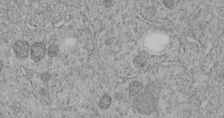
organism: C. elegans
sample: C. elegans embryo early stage